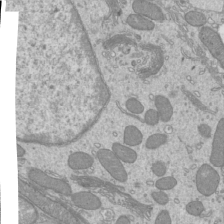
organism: Mouse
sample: Cilia; mouse epididymis